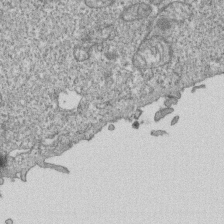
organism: Human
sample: HeLa cell HIV synapse